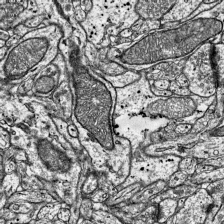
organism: Mouse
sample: Visual Cortex